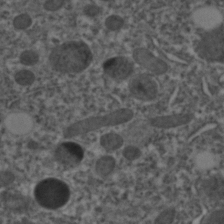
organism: C. elegans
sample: C. elegans embryo